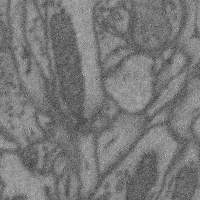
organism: Mouse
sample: Cerebral cortex